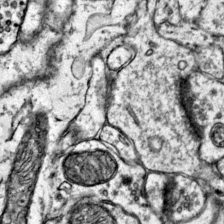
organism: Mouse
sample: Primary visual cortex